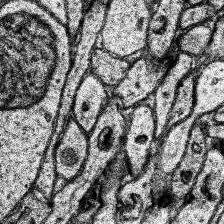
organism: Human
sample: Temporal Lobe